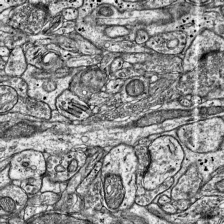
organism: Mouse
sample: Visual Cortex